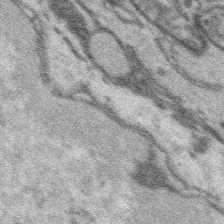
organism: Platynereis dumerilii